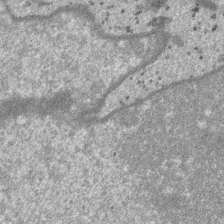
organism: Human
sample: Lung epithelial cells infected with SARS-CoV-2